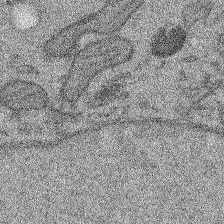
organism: Human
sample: HeLa cells